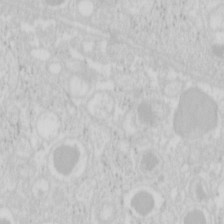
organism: Mouse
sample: Pancreas